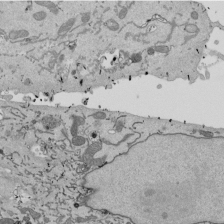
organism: Mouse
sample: ED-1 cell nuclei; centrioles